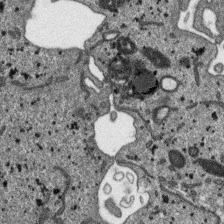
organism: Human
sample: Lung epithelial cells infected with SARS-CoV-2